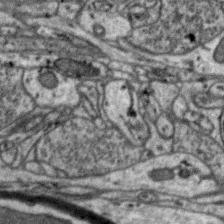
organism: Zebra finch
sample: Brain